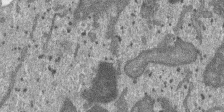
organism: Human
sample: Lung epithelial cells infected with SARS-CoV-2